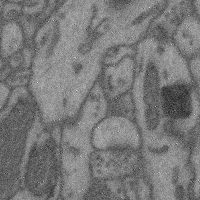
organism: Mouse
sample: Cerebral cortex